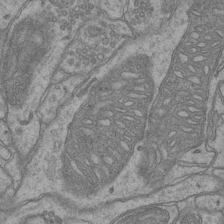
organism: Mouse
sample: CA1 Hippocampus